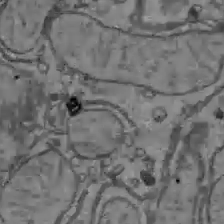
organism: C57BL Mouse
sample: Liver